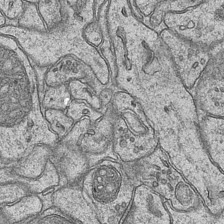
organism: Mouse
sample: CA1 Hippocampus